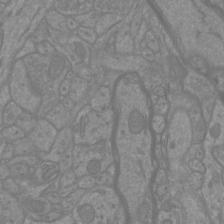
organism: Mouse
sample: Cortical neurons